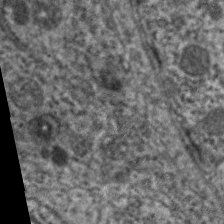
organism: C. elegans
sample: Pharynx